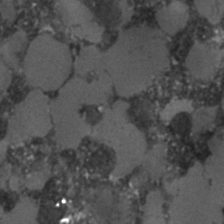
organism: C. elegans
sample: C. elegans embryo